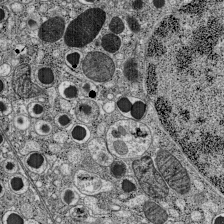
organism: C57BL Mouse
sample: Pancreatic islet